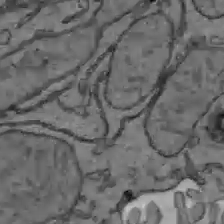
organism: C57BL Mouse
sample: Liver